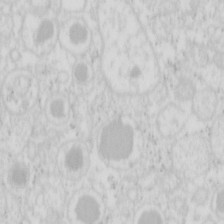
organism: Mouse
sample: Pancreas